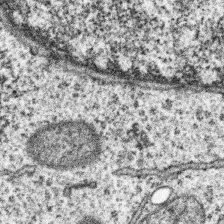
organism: Human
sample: HeLa cells